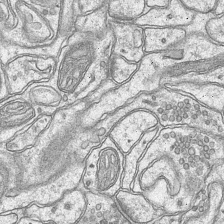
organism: Mouse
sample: CA1 Hippocampus